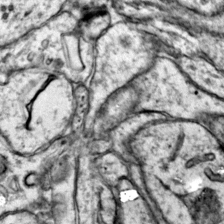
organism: Mouse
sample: Primary visual cortex